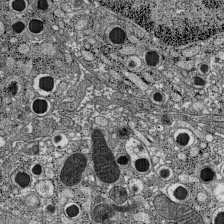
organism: C57BL Mouse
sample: Pancreatic islet